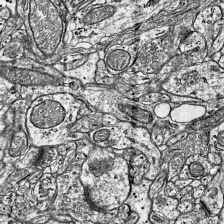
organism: Mouse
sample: Visual Cortex